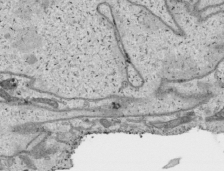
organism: Human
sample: Mitochondria in HCT116 cells